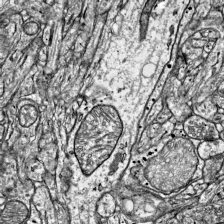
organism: Mouse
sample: Visual Cortex